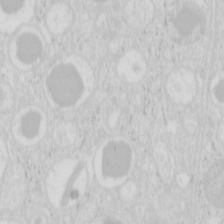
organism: Mouse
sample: Pancreas